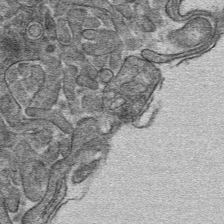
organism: Mouse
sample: Mouse hepatocytes